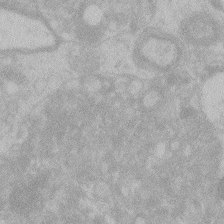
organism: Zebrafish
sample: Macrophage infected with Toxoplasma gondii